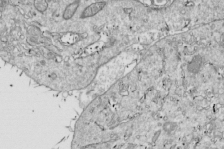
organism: Drosophila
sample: Cell division; meiosis; drosophila spermatocytes